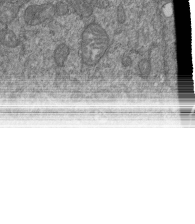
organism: Human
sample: Retinal organoid Rod and Cone cells